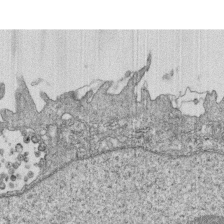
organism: Human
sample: HeLa cell HIV synapse